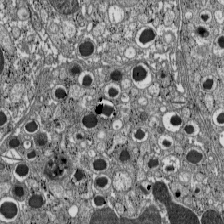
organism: C57BL Mouse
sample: Pancreatic islet